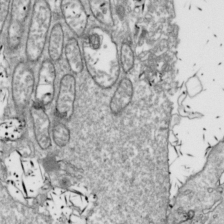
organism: Drosophila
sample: Cell division; meiosis; drosophila spermatocytes